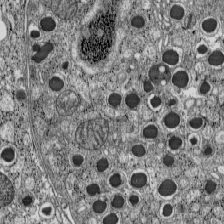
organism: C57BL Mouse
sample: Pancreatic islet